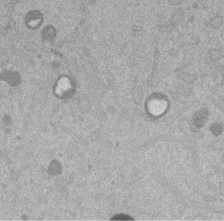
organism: Mouse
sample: Dividing mouse embryo 1 cell stage